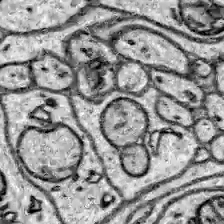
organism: Zebrafish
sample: Brain